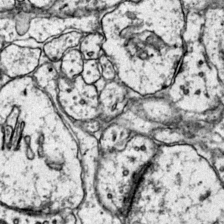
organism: Mouse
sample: Primary visual cortex